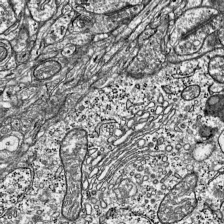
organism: Mouse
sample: Visual Cortex